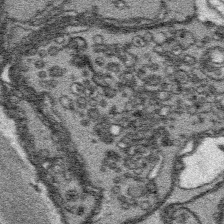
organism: Platynereis dumerilii